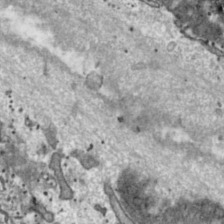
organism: Toxoplasma gondii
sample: Parasites in a vacuole inside a host cell